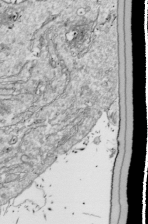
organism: Drosophila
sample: Cell division; meiosis; drosophila spermatocytes